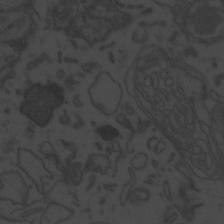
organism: Zebrafish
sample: Macrophage infected with Toxoplasma gondii